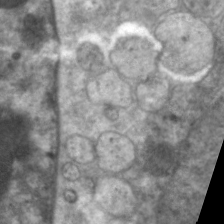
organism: C. elegans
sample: Pharynx